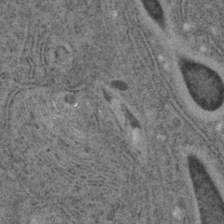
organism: C. elegans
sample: C. elegans embryo